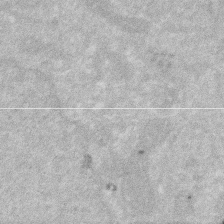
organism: Human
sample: HIV infected U937 cells